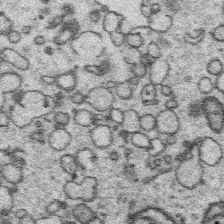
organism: Platynereis dumerilii